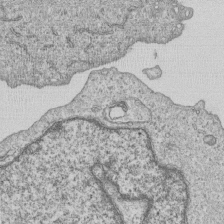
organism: Human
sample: MDA-MB-231 cells